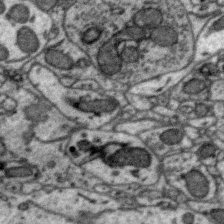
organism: Zebra finch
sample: Brain